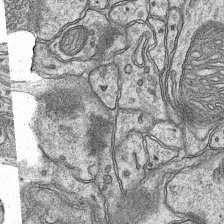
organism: Mouse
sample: CA1 Hippocampus